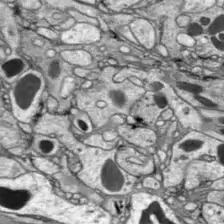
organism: Drosophila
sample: Optic lobe